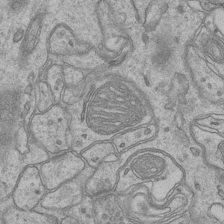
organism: Mouse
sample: CA1 Hippocampus